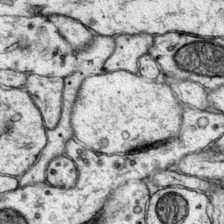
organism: Mouse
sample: Primary visual cortex